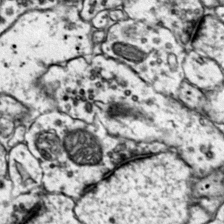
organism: Mouse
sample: Primary visual cortex